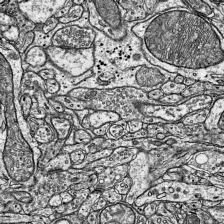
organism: Mouse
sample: Visual Cortex